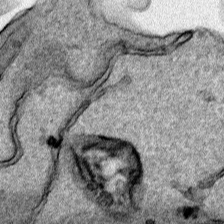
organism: Human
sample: Mitochondria in HCT116 cells